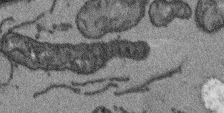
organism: Arabidopsis thaliana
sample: Root tip